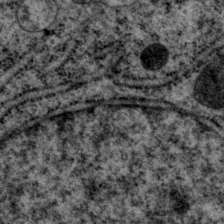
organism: P. pacificus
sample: Pharynx